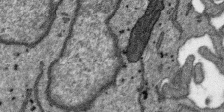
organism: Human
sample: Lung epithelial cells, uninfected (mock) control